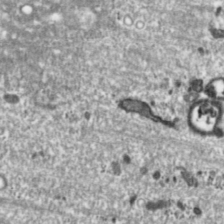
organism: Toxoplasma gondii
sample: Parasites in a vacuole inside a host cell